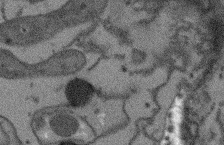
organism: Arabidopsis thaliana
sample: Root tip